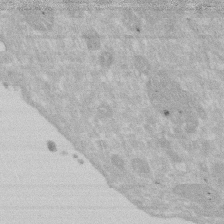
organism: Human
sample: HIV infected U937 cells